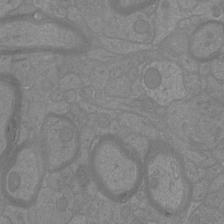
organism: Mouse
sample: Cortical neurons